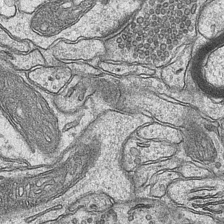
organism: Mouse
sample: CA1 Hippocampus